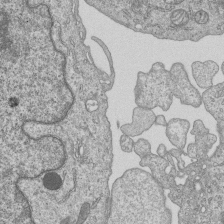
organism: Human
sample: MDA-MB-231 cells